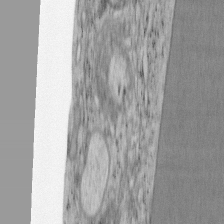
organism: Human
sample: HeLa cells